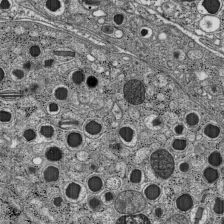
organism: C57BL Mouse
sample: Pancreatic islet